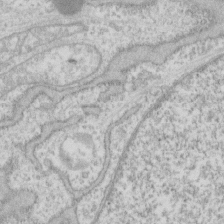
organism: Human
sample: Fibroblast cells